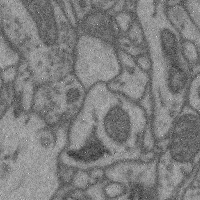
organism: Mouse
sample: Cerebral cortex